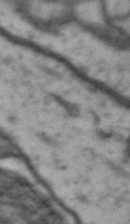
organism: Drosophila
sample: Brain